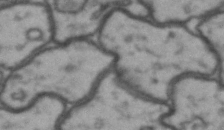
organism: Drosophila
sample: Brain